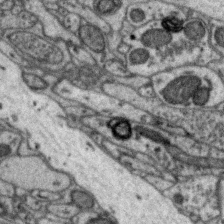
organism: Zebra finch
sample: Brain